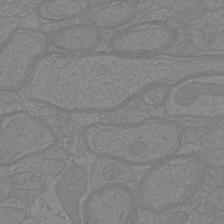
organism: Mouse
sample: Cortical neurons